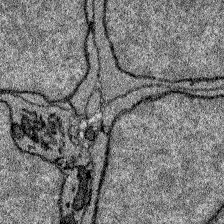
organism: Zebrafish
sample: Larval olfactory bulb